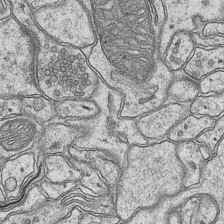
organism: Mouse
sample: CA1 Hippocampus